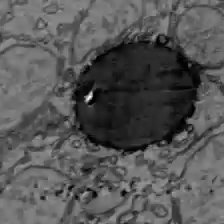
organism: C57BL Mouse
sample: Liver